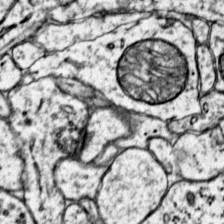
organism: Mouse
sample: Primary visual cortex